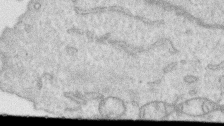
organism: Human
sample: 1205lu cells